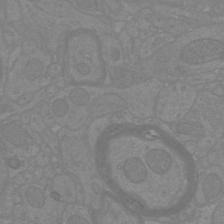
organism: Mouse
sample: Cortical neurons